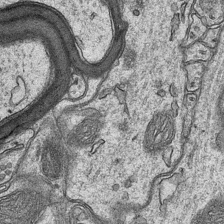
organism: Mouse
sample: CA1 Hippocampus